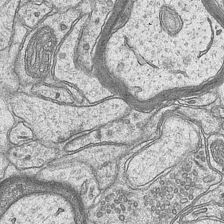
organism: Mouse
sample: CA1 Hippocampus